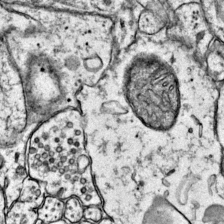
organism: Mouse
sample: Primary visual cortex